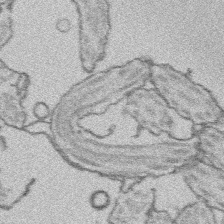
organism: Platynereis dumerilii